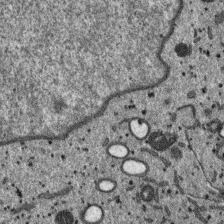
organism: Human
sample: Lung epithelial cells infected with SARS-CoV-2